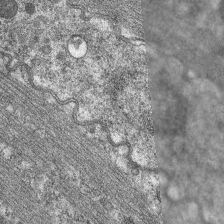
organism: C. elegans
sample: Pharynx